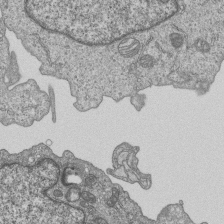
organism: Human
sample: MDA-MB-231 cells